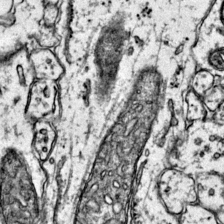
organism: Mouse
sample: Primary visual cortex